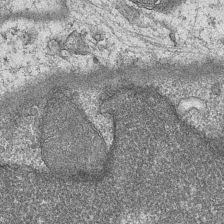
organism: Mouse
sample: CA1 Hippocampus